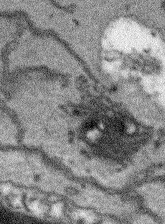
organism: Arabidopsis thaliana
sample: Root tip